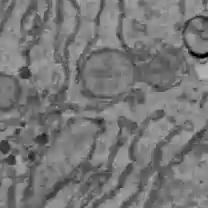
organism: C57BL Mouse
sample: Liver